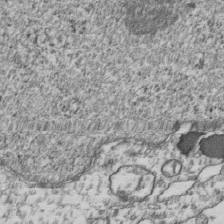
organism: Human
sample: Activated Jurkat CD4+ T cells